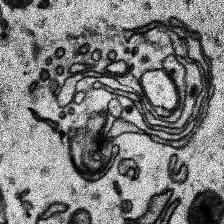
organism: Human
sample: Temporal Lobe